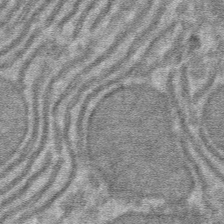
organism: Mouse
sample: Mouse hepatocytes